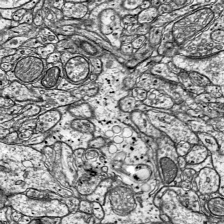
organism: Mouse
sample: Visual Cortex